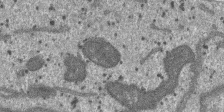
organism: Human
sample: Lung epithelial cells infected with SARS-CoV-2